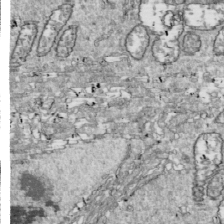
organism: Drosophila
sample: Cell division; meiosis; drosophila spermatocytes